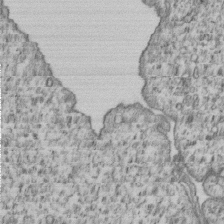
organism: Human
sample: MDA-MB-231 cells